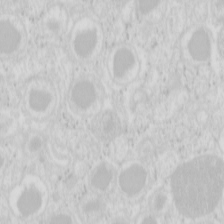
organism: Mouse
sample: Pancreas